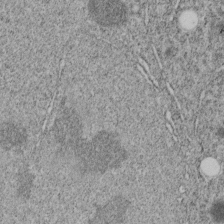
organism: C. elegans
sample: C. elegans embryo early stage